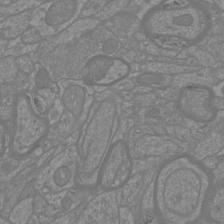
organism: Mouse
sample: Cortical neurons